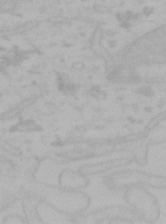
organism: Mouse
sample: Choroid plexus